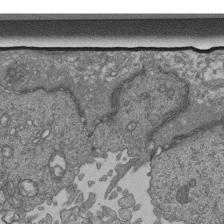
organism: Human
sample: Retinal organoid Rod and Cone cells